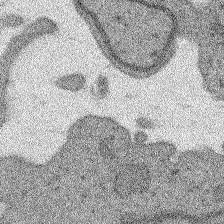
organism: Human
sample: HeLa cells